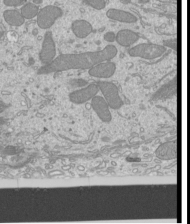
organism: Mouse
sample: Cilia; mouse epididymis